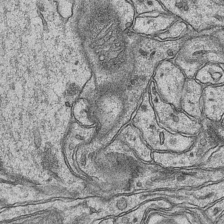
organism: Mouse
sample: CA1 Hippocampus